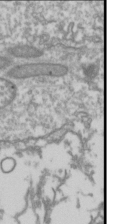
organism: Drosophila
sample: Cell division; meiosis; drosophila spermatocytes